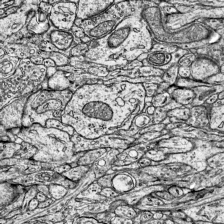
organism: Mouse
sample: Visual Cortex